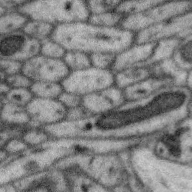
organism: Zebra finch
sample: Brain